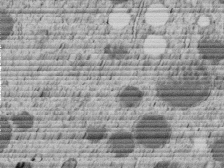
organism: C. elegans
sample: C. elegans embryo early stage